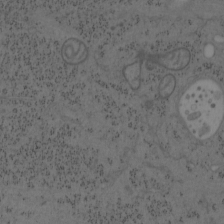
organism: Mouse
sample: OT-I killer T cells with ID8 ovarian cancer cells